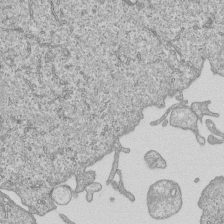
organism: Human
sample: MDA-MB-231 cells